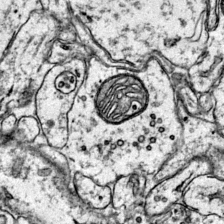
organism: Mouse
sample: Primary visual cortex